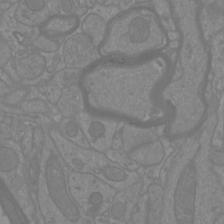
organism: Mouse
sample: Cortical neurons